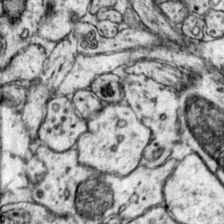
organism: Mouse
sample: Primary visual cortex